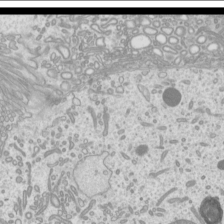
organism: Mouse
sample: Cilia; mouse epididymis